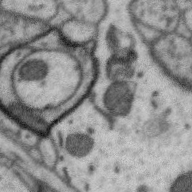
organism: Zebra finch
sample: Brain